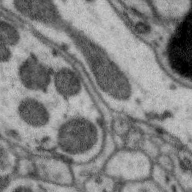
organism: Zebra finch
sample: Brain